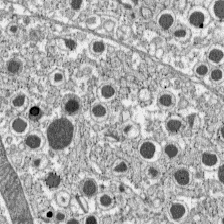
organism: C57BL Mouse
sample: Pancreatic islet